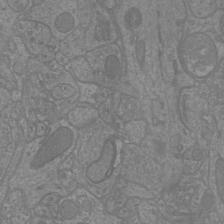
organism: Mouse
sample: Cortical neurons